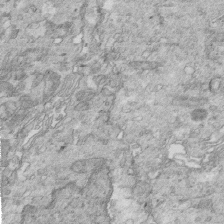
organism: Mouse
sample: Multiciliated cells